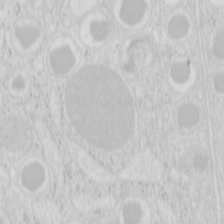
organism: Mouse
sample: Pancreas